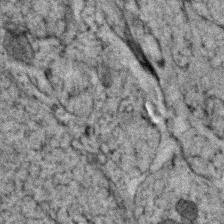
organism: Zebrafish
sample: Zebrafish embryo